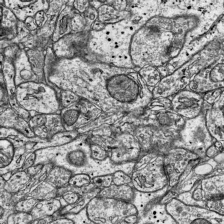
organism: Mouse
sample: Visual Cortex